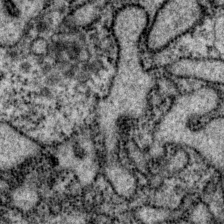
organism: P. pacificus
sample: Pharynx